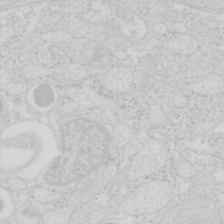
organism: Mouse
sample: Pancreas